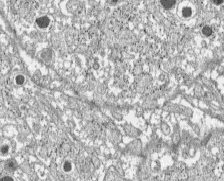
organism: C57BL Mouse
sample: Pancreatic islet